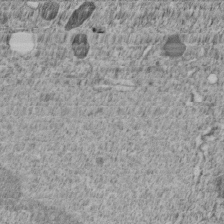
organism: C. elegans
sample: C. elegans embryo early stage